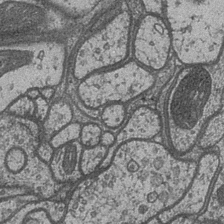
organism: Drosophila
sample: Optic medulla